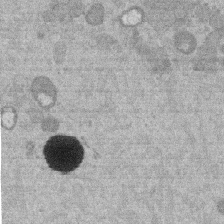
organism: Mouse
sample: Dividing mouse embryo 1 cell stage